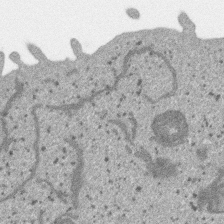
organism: Human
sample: Lung epithelial cells infected with SARS-CoV-2